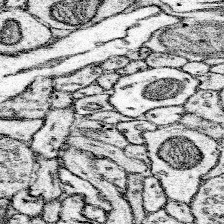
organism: Mouse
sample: Somatosensory cortex neuropil